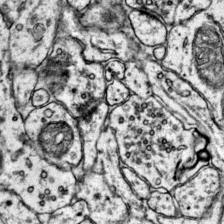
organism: Mouse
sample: Primary visual cortex